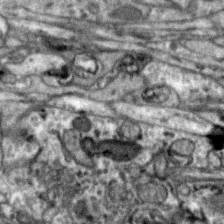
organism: Zebra finch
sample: Brain